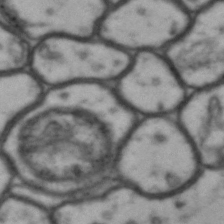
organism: Drosophila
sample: Brain